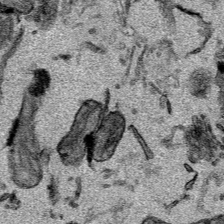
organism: Mouse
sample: Cancer cell death in ED-1 cells